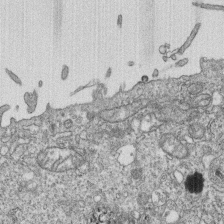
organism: Human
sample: HeLa cell HIV synapse